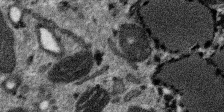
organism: Human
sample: Lung epithelial cells infected with SARS-CoV-2